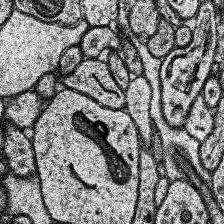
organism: Human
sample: Temporal Lobe